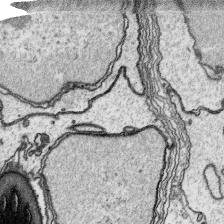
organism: Platynereis dumerilii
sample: Parapodia